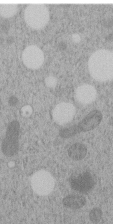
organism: C. elegans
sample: C. elegans embryo early stage